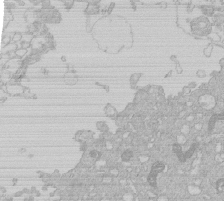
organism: Human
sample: Macrophage cells